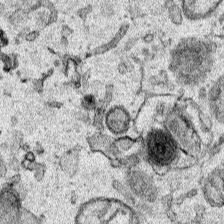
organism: Human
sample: Mitochondria in HCT116 cells